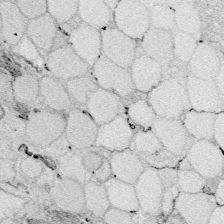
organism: Zebrafish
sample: Whole-Brain